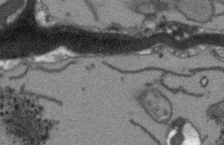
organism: Arabidopsis thaliana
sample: Root tip